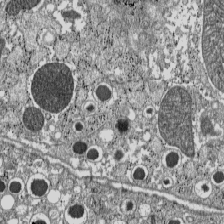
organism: C57BL Mouse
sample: Pancreatic islet